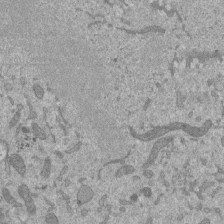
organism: Mouse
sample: ED-1 cell nuclei; centrioles